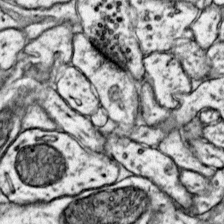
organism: Mouse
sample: Primary visual cortex